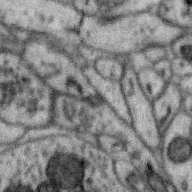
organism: Zebra finch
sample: Brain